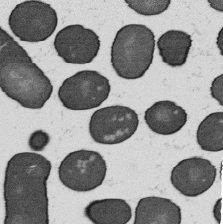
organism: B. subtilis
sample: Bacterial spore